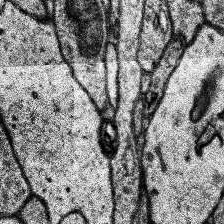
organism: Human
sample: Temporal Lobe